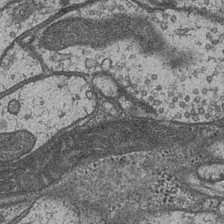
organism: Drosophila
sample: Optic medulla